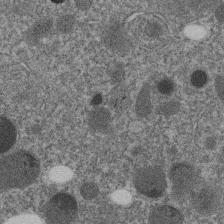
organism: C. elegans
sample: C. elegans embryo early stage